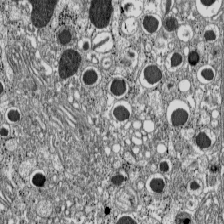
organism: C57BL Mouse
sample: Pancreatic islet